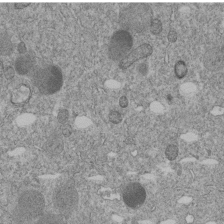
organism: C. elegans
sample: C. elegans embryo early stage